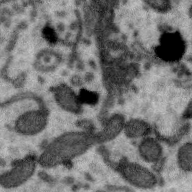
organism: Zebra finch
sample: Brain